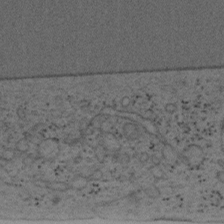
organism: Human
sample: HeLa cells